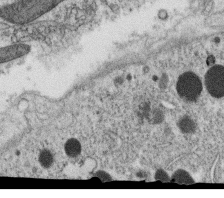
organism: C. elegans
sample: C. elegans oocyte; sperm cells